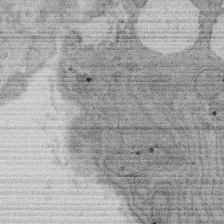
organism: Rat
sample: Salivary granule